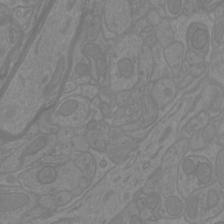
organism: Mouse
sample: Cortical neurons